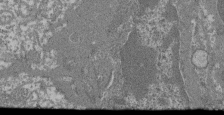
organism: Mouse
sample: Glomerulus